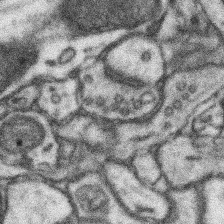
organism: Mouse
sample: Somatosensory cortex neuropil